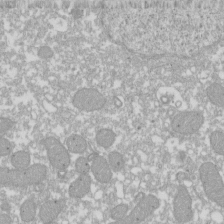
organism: Xenopus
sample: Cilia; centrioles in frog embryo cells